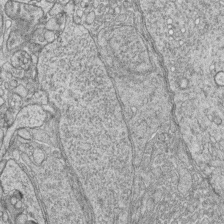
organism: Zebrafish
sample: synaptic ribbons in rod cells and cone cells